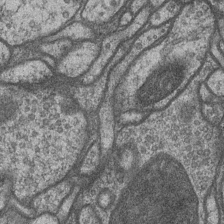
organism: Drosophila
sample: Optic medulla